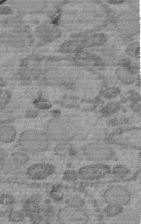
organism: C. elegans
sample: C. elegans embryo early stage